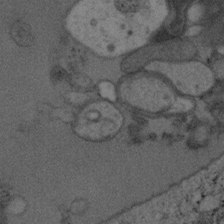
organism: Human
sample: HeLa cells